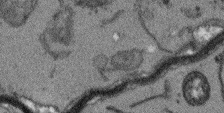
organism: Arabidopsis thaliana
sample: Root tip